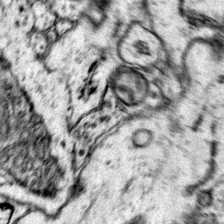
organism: Mouse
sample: Primary visual cortex